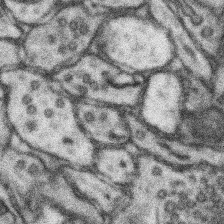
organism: Mouse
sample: Somatosensory cortex neuropil